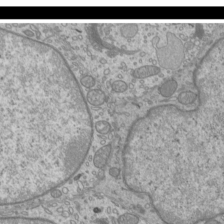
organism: Mouse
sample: Cilia; mouse epididymis